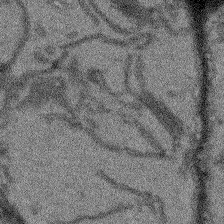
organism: Arabidopsis thaliana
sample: Root tip